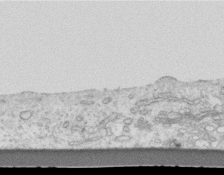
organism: Mouse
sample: Centriole in ependymal cells